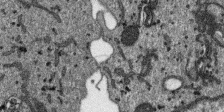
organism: Human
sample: Lung epithelial cells infected with SARS-CoV-2